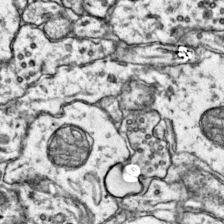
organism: Mouse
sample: Primary visual cortex